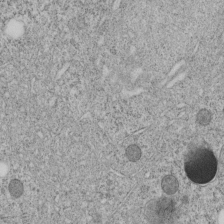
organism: C. elegans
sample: C. elegans embryo early stage